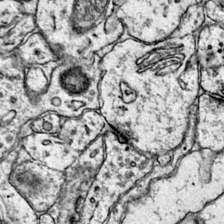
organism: Mouse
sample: Primary visual cortex